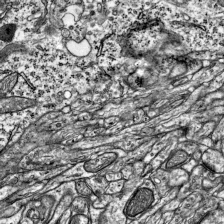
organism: Mouse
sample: Visual Cortex